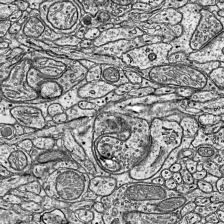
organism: Mouse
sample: Visual Cortex